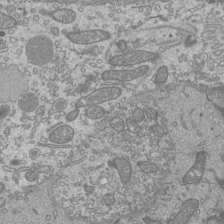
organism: Mouse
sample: Cilia; mouse epididymis